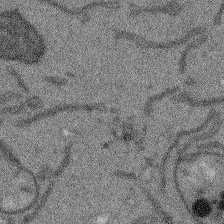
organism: Arabidopsis thaliana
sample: Root tip